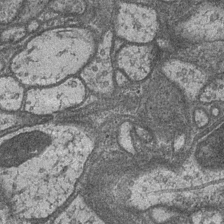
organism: Drosophila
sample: Optic medulla